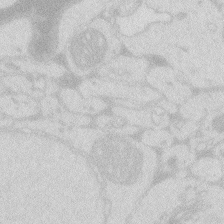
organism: Zebrafish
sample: Macrophage